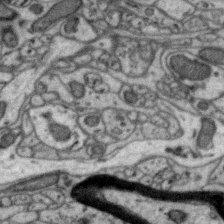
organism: Zebra finch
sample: Brain